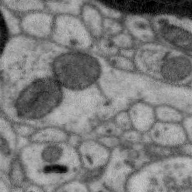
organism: Zebra finch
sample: Brain